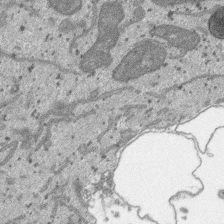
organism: Human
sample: Lung epithelial cells infected with SARS-CoV-2